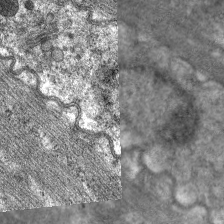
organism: C. elegans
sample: Pharynx